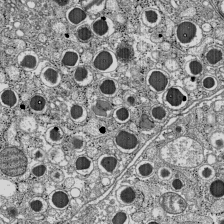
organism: C57BL Mouse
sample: Pancreatic islet